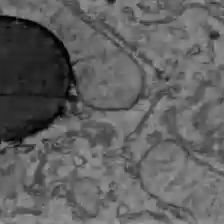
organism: C57BL Mouse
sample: Liver